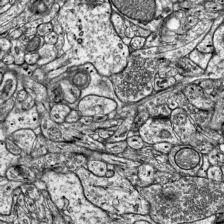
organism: Mouse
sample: Visual Cortex